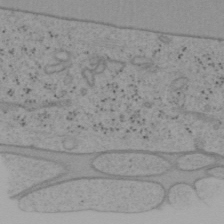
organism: Human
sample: HeLa cells